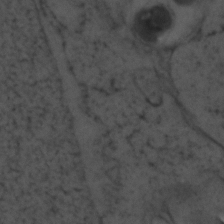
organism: Zebrafish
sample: Zebrafish embryo